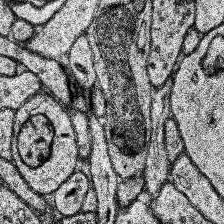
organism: Human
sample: Temporal Lobe